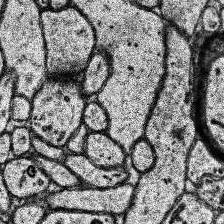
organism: Human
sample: Temporal Lobe